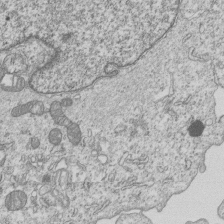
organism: Human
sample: MDA-MB-231 cells